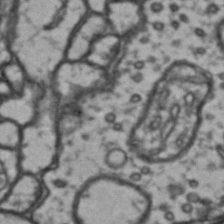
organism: Drosophila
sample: Brain